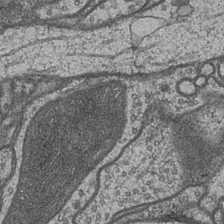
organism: Drosophila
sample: Optic medulla